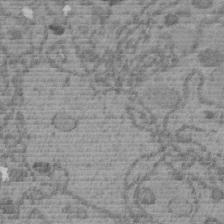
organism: C. elegans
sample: C. elegans embryo early stage